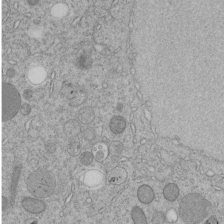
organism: C. elegans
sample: C. elegans embryo early stage